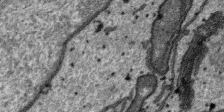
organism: Human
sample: Lung epithelial cells, uninfected (mock) control